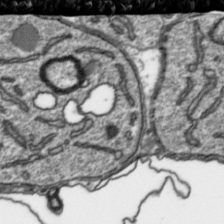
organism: Toxoplasma gondii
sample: Parasites in a vacuole inside a host cell